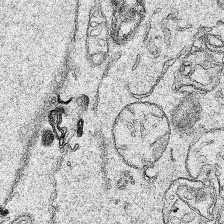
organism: Human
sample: Mitochondria in HCT116 cells